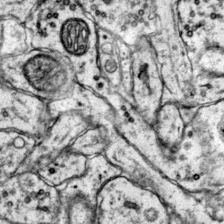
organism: Mouse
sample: Primary visual cortex